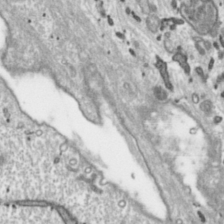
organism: Toxoplasma gondii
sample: Parasites in a vacuole inside a host cell